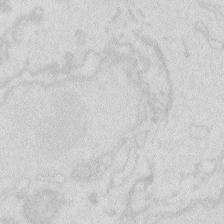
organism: Zebrafish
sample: Macrophage